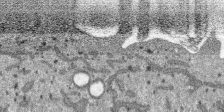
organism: Human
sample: Lung epithelial cells infected with SARS-CoV-2